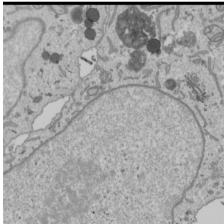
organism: Human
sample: Mitochondria in U2OS cells